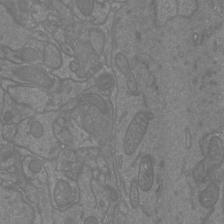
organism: Mouse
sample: Cortical neurons